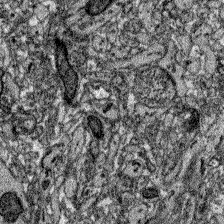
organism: Zebrafish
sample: Larval olfactory bulb